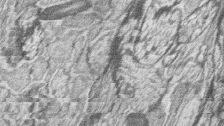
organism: Zebrafish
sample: synaptic ribbons in rod cells and cone cells